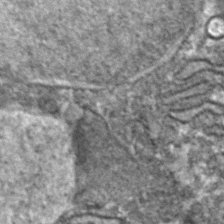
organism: Zebrafish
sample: Zebrafish embryo